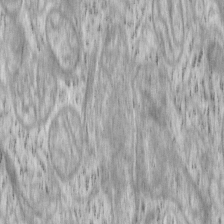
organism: Human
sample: HeLa cells